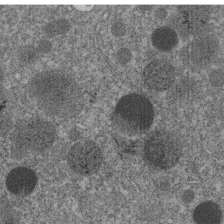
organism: C. elegans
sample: C. elegans embryo early stage